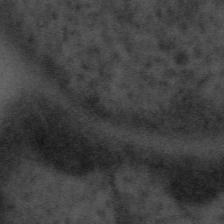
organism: Tuwongella immobilis